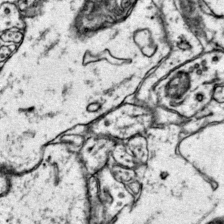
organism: Mouse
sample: Primary visual cortex